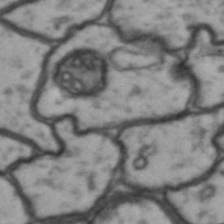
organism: Drosophila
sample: Brain